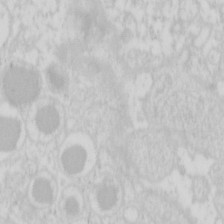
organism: Mouse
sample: Pancreas